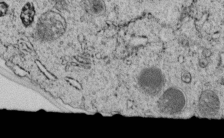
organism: C. elegans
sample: C. elegans embryo early stage